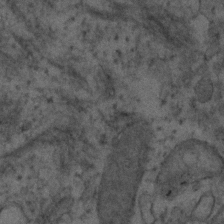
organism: Human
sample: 1205lu cells